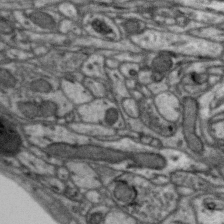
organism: Zebra finch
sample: Brain